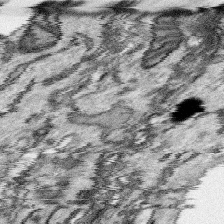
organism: Human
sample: HeLa cells